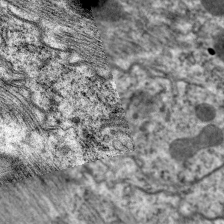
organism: C. elegans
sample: Pharynx